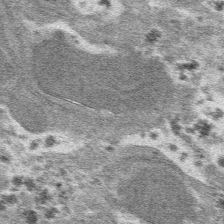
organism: Mouse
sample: Mouse hepatocytes